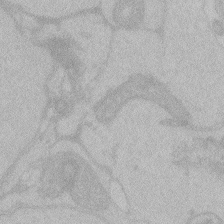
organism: Zebrafish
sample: Macrophage infected with Toxoplasma gondii